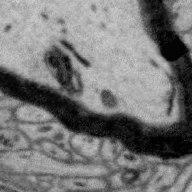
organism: Zebra finch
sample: Brain